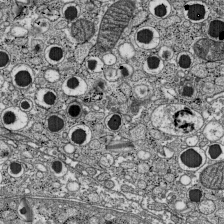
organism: C57BL Mouse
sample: Pancreatic islet